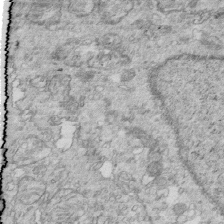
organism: Mouse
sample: Multiciliated cells